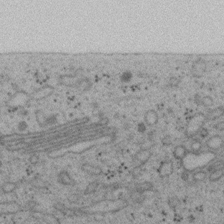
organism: Human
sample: HeLa cells